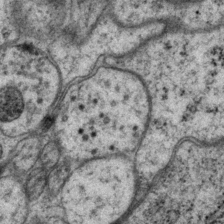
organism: P. pacificus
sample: Pharynx